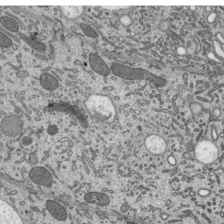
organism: Mouse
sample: Mouse epididymis efferent ductule cilia